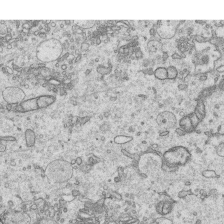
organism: Human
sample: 1205lu cells